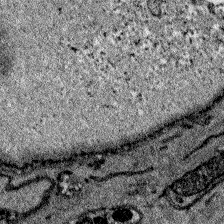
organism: Zebrafish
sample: Larval olfactory bulb